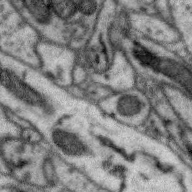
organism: Zebra finch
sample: Brain